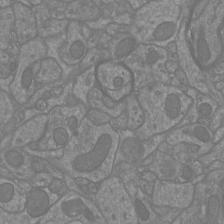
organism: Mouse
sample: Cortical neurons